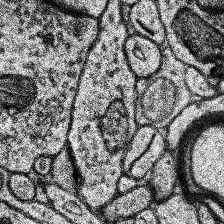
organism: Human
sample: Temporal Lobe